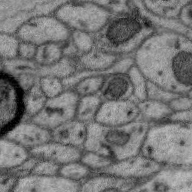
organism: Zebra finch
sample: Brain